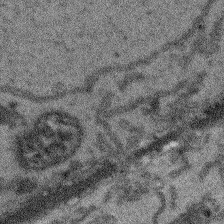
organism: Arabidopsis thaliana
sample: Root tip